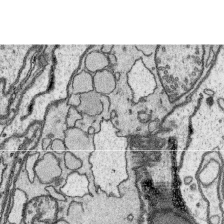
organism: Platynereis dumerilii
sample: Parapodia